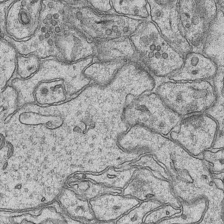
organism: Mouse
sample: CA1 Hippocampus